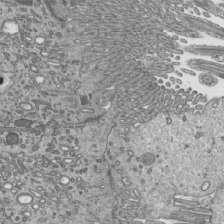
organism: Mouse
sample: Mouse epididymis efferent ductule cilia